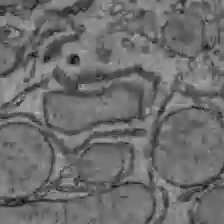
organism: C57BL Mouse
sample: Liver